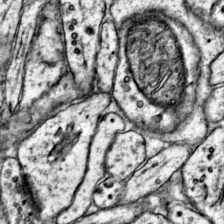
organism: Mouse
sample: Primary visual cortex